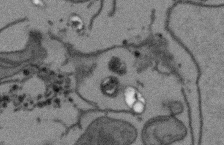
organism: Arabidopsis thaliana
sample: Root tip